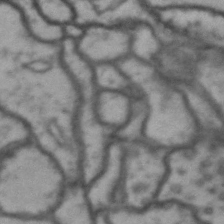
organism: Drosophila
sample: Brain